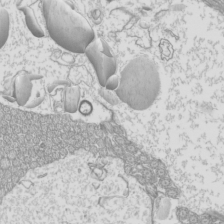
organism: Mouse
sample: Cilia; mouse epididymis